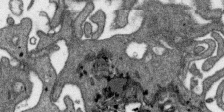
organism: Human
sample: Lung epithelial cells, uninfected (mock) control